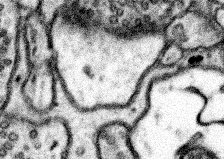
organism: Mouse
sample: Somatosensory cortex neuropil